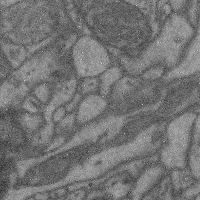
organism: Mouse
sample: Cerebral cortex